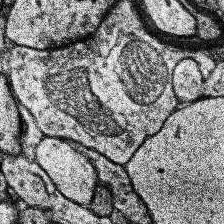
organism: Human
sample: Temporal Lobe